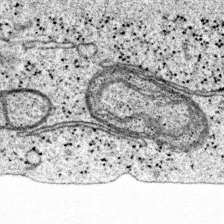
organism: Human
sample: HeLa cells